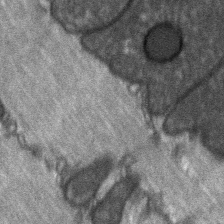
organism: C57BL Mouse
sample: Soleus